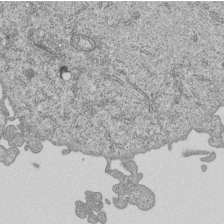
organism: Human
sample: MDA-MB-231 cells